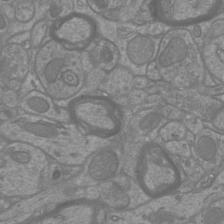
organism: Mouse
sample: Cortical neurons